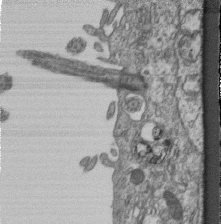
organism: Mouse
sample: Centriole in ependymal cells